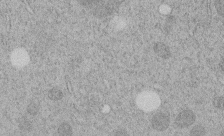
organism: C. elegans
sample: C. elegans embryo early stage